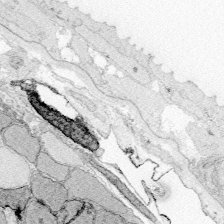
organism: Zebrafish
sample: Whole-Brain